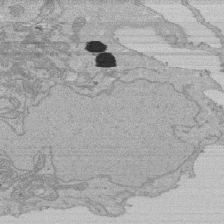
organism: Human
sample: Activated Jurkat CD4+ T cells